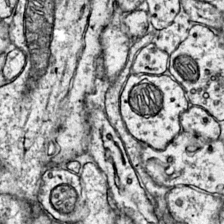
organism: Mouse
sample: Primary visual cortex